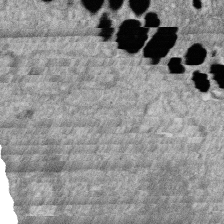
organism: Zebrafish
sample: Cilia; retinal pigment epithelium